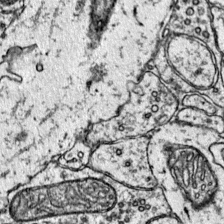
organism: Mouse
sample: Primary visual cortex